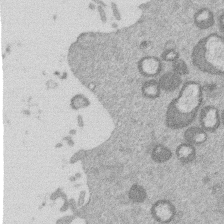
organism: Mouse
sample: Dividing mouse embryo 1 cell stage